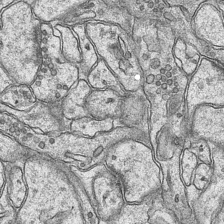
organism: Mouse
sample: CA1 Hippocampus